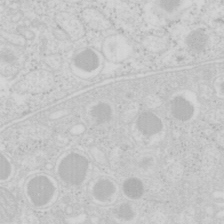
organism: Mouse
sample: Pancreas